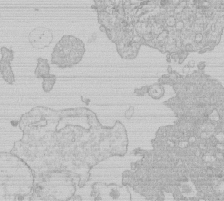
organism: Human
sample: Macrophage cells